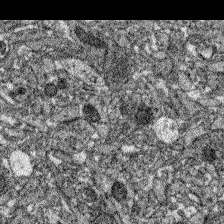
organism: Zebrafish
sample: Larval olfactory bulb